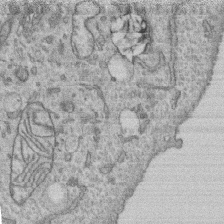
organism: Human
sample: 1205lu cells